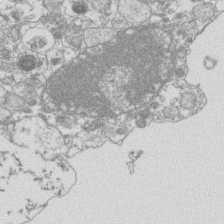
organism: Human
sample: HeLa cell HIV synapse